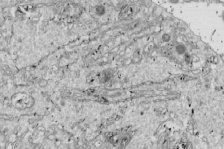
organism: Drosophila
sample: Cell division; meiosis; drosophila spermatocytes